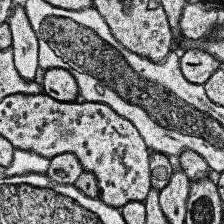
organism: Human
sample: Temporal Lobe